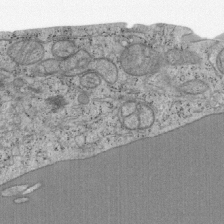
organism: Human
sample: HeLa cells